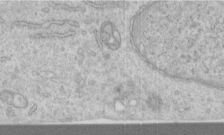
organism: Human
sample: Centriole in RPE cells